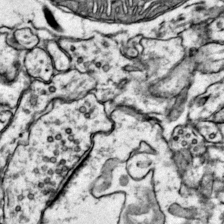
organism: Mouse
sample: Primary visual cortex